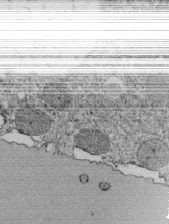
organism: Tetrahymena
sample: Cilia in tetrahymena